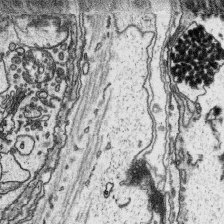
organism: Platynereis dumerilii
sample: Parapodia